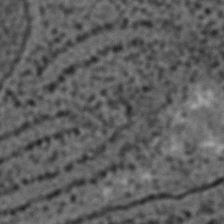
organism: C. elegans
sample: C. elegans embryo